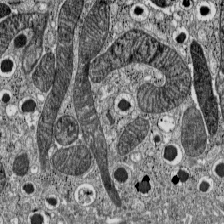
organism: C57BL Mouse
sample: Pancreatic islet